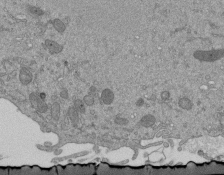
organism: Mouse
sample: ED-1 cell nuclei; centrioles